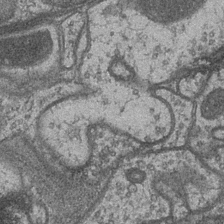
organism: Drosophila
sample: Optic medulla